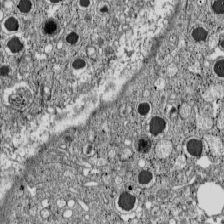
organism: C57BL Mouse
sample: Pancreatic islet